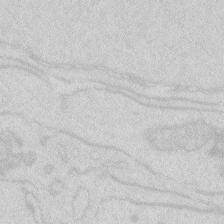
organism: Zebrafish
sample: Macrophage